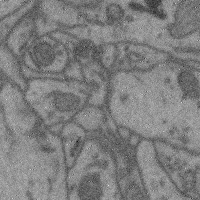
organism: Mouse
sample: Cerebral cortex